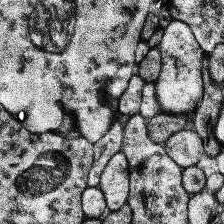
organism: Human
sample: Temporal Lobe